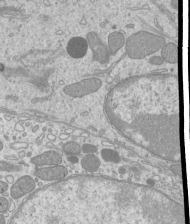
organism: Mouse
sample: Cilia; mouse epididymis